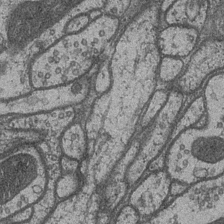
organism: Drosophila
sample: Optic medulla